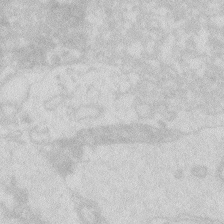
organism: Zebrafish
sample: Macrophage